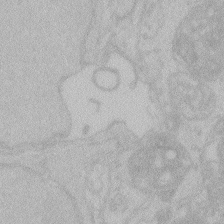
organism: Zebrafish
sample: Macrophage infected with Toxoplasma gondii